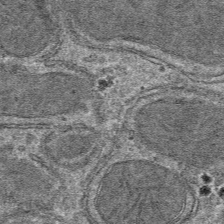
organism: Mouse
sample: Mouse hepatocytes